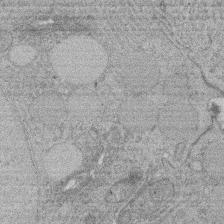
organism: Rat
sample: Salivary granule